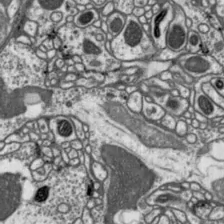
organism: Drosophila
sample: Protocerebral bridge